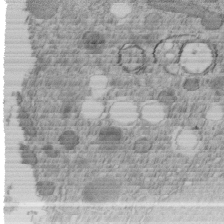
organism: C. elegans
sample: C. elegans embryo early stage